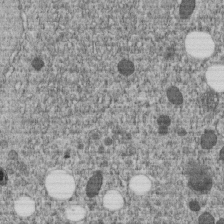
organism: C. elegans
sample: C. elegans embryo early stage